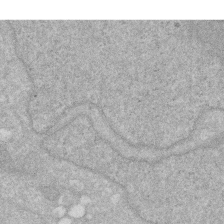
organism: Human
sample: HIV infected U937 cells